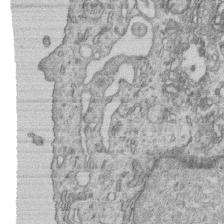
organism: Human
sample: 1205lu cells